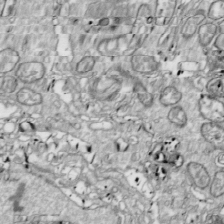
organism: Drosophila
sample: Cell division; meiosis; drosophila spermatocytes